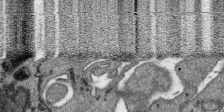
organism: Human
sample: Lung epithelial cells, uninfected (mock) control